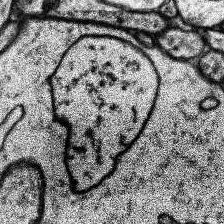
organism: Human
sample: Temporal Lobe